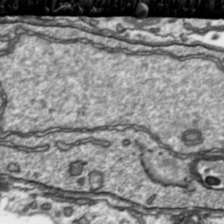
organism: Toxoplasma gondii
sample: Parasites in a vacuole inside a host cell